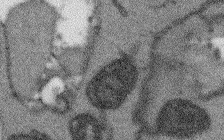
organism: Arabidopsis thaliana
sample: Root tip